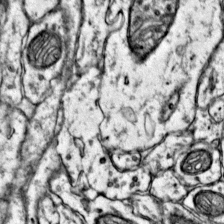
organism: Mouse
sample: Primary visual cortex